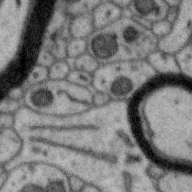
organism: Zebra finch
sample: Brain